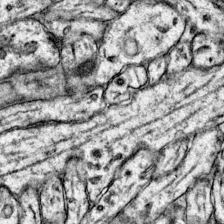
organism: Mouse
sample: Primary visual cortex